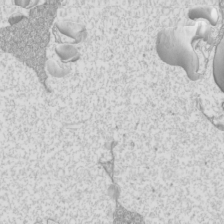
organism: Mouse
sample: Cilia; mouse epididymis